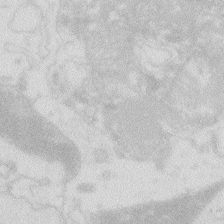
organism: Zebrafish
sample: Macrophage